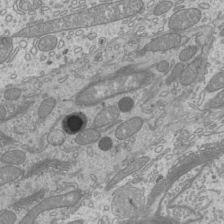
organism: Mouse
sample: Cilia; mouse epididymis